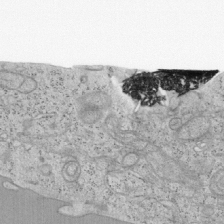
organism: Human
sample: HeLa cells